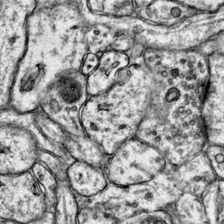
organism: Mouse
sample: Primary visual cortex